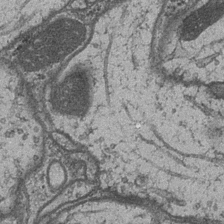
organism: Drosophila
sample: Optic medulla